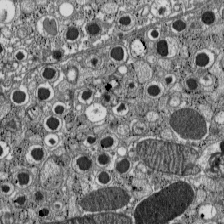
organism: C57BL Mouse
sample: Pancreatic islet